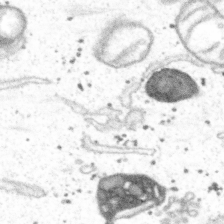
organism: Human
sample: HeLa cells